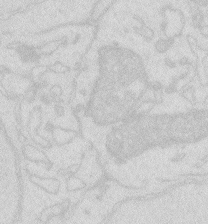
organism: Zebrafish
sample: Macrophage